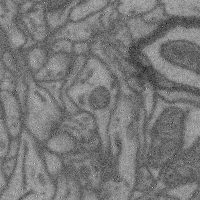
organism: Mouse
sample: Cerebral cortex